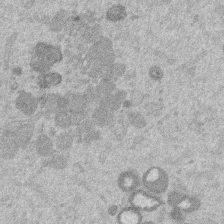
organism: Mouse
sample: Dividing mouse embryo 1 cell stage